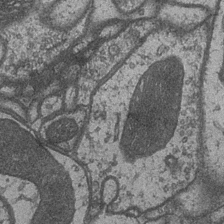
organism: Drosophila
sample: Optic medulla